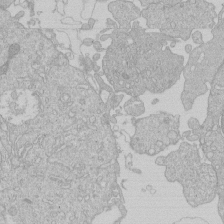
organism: Human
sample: Macrophage cells